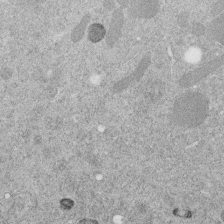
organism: C. elegans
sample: C. elegans embryo early stage